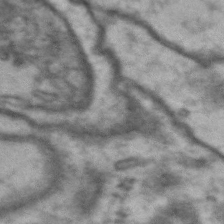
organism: Drosophila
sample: Brain